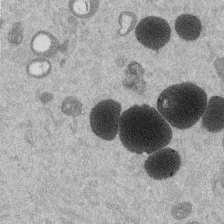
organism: Mouse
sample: Dividing mouse embryo 1 cell stage